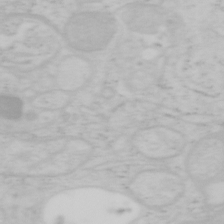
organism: Mouse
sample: OT-I killer T cells with ID8 ovarian cancer cells